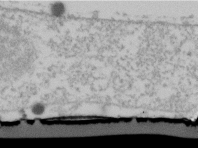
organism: Human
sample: U2-OS cells